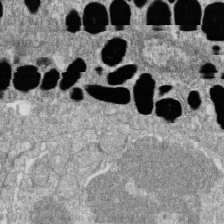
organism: Zebrafish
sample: Cilia; retinal pigment epithelium